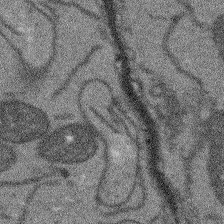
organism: Arabidopsis thaliana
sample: Root tip